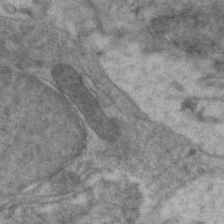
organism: Zebrafish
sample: Zebrafish embryo